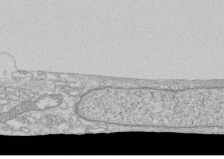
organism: Human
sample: CRL-1474